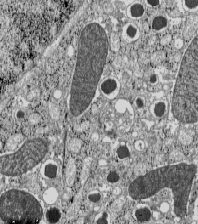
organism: C57BL Mouse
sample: Pancreatic islet